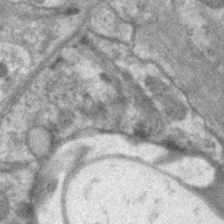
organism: C. elegans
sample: Pharynx